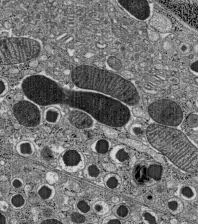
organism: C57BL Mouse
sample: Pancreatic islet